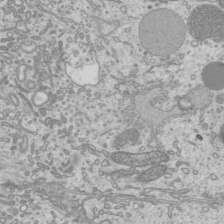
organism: Mouse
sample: Cilia; mouse epididymis